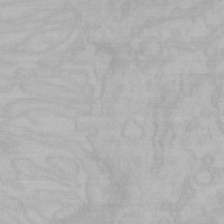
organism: Mouse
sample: Choroid plexus